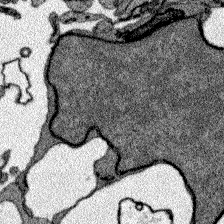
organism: Zebrafish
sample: Larval olfactory bulb